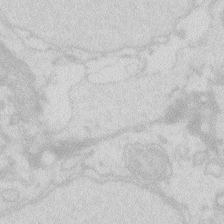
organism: Zebrafish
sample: Macrophage